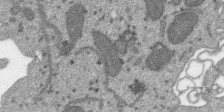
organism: Human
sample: Lung epithelial cells infected with SARS-CoV-2